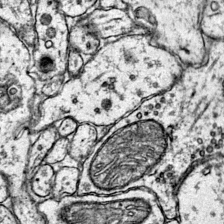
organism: Mouse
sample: Primary visual cortex